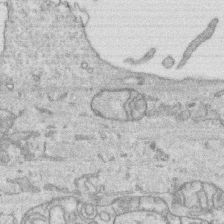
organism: Human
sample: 1205lu cells